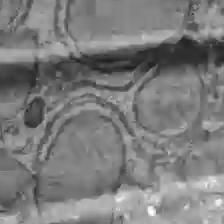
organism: C57BL Mouse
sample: Liver